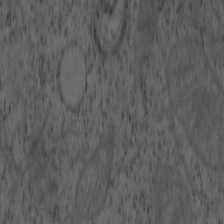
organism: Human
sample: HeLa cells